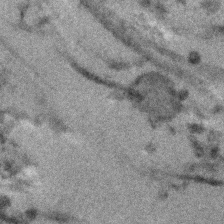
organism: Human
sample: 1205lu cells